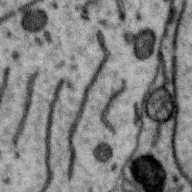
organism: Zebra finch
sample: Brain